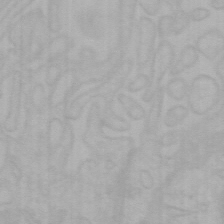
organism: Mouse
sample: Choroid plexus